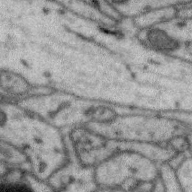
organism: Zebra finch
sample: Brain